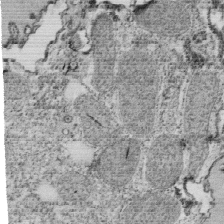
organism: Tetrahymena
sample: Cilia in tetrahymena